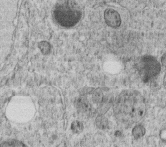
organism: C. elegans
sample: C. elegans embryo early stage